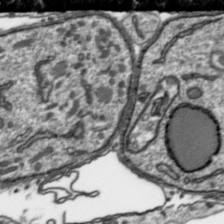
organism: Toxoplasma gondii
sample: Parasites in a vacuole inside a host cell